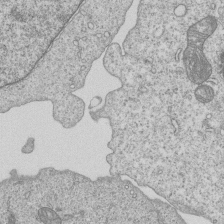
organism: Human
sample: MDA-MB-231 cells